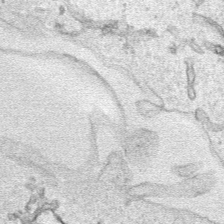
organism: Human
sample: Mitochondria in HCT116 cells